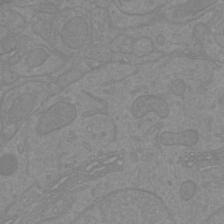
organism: Mouse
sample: Cortical neurons